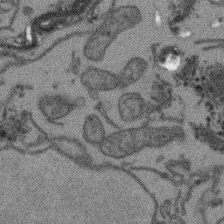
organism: Arabidopsis thaliana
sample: Root tip